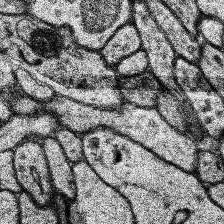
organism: Human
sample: Temporal Lobe